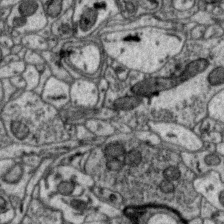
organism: Zebra finch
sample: Brain